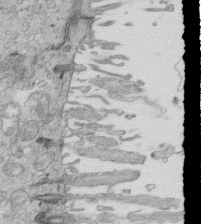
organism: Mouse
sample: Multiciliated cells